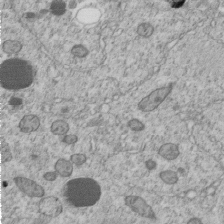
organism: C. elegans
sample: C. elegans embryo early stage